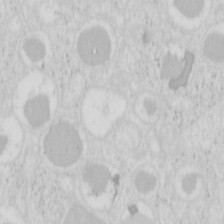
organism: Mouse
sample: Pancreas